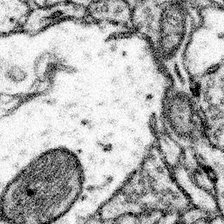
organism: Mouse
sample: Somatosensory cortex neuropil